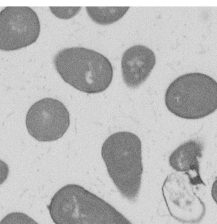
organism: B. subtilis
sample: Bacterial spore